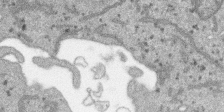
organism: Human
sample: Lung epithelial cells infected with SARS-CoV-2